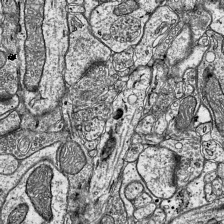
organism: Mouse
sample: Visual Cortex